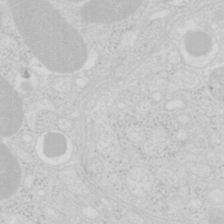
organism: Mouse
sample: Pancreas